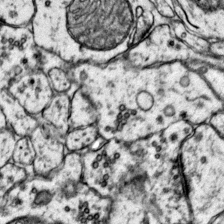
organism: Mouse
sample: Primary visual cortex